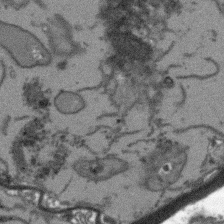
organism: Arabidopsis thaliana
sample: Root tip